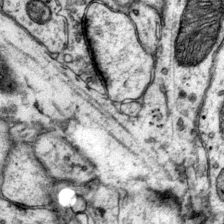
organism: Mouse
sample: Primary visual cortex